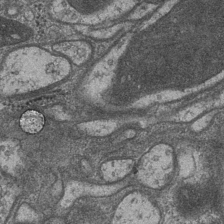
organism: Drosophila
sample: Optic medulla